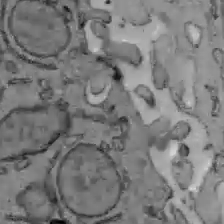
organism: C57BL Mouse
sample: Liver